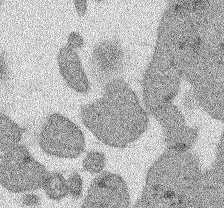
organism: Human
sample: HeLa cells